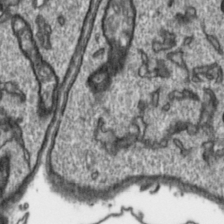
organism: Toxoplasma gondii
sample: Parasites in a vacuole inside a host cell